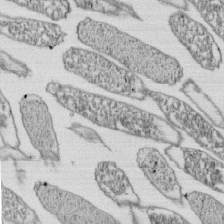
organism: E. coli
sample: Bacterial nucleoid